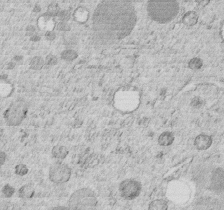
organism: C. elegans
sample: C. elegans embryo early stage